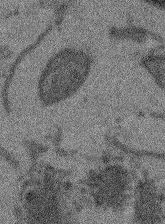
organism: Arabidopsis thaliana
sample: Root tip